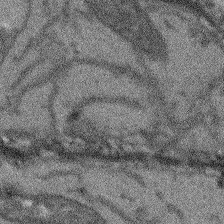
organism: Arabidopsis thaliana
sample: Root tip